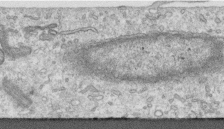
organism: Human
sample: Centriole in RPE cells